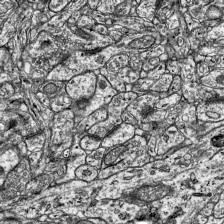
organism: Mouse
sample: Visual Cortex